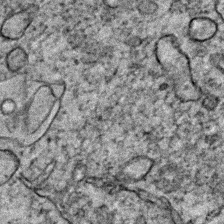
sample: Trachea